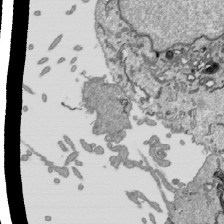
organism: Human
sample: Mitochondria in HCT116 cells